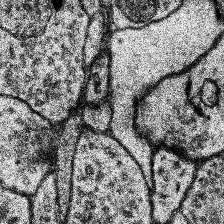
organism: Human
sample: Temporal Lobe